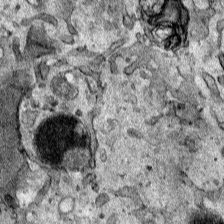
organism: Human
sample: Mitochondria in HCT116 cells